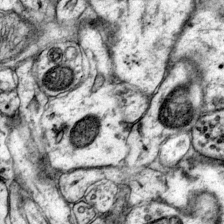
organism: Mouse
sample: Primary visual cortex